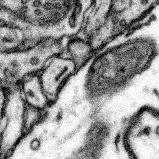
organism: Mouse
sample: Somatosensory cortex neuropil